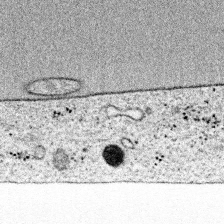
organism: Human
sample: HeLa cells